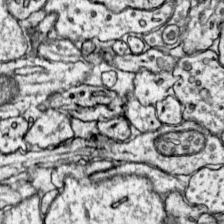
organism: Mouse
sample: Primary visual cortex